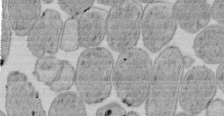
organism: E. coli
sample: Bacterial nucleoid